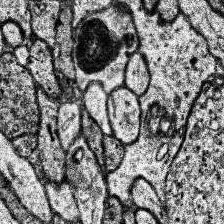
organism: Human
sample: Temporal Lobe